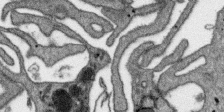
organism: Human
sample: Lung epithelial cells, uninfected (mock) control